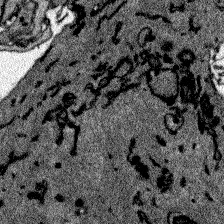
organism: Zebrafish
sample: Larval olfactory bulb